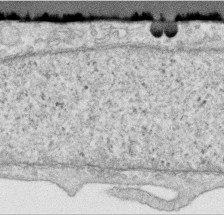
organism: Human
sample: Centriole in RPE cells